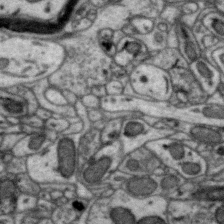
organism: Zebra finch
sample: Brain